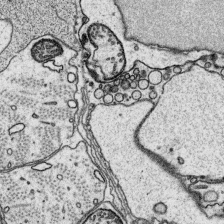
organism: Platynereis dumerilii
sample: Parapodia